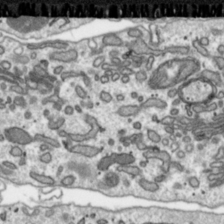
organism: Toxoplasma gondii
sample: Parasites in a vacuole inside a host cell